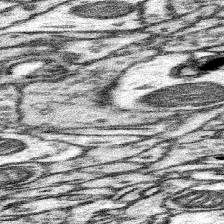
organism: Mouse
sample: Somatosensory cortex neuropil